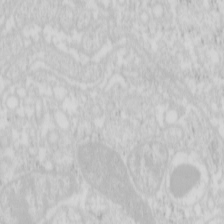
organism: Mouse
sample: Pancreas